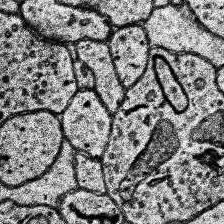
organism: Human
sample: Temporal Lobe